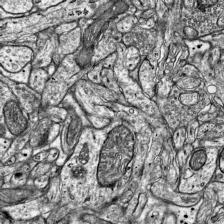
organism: Mouse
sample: Visual Cortex